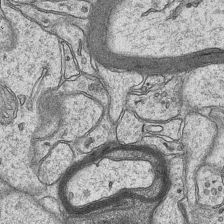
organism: Mouse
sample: CA1 Hippocampus